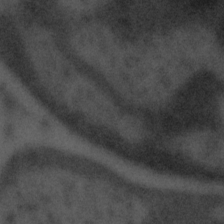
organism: Tuwongella immobilis